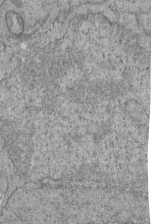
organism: Human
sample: Retinal organoid Rod and Cone cells